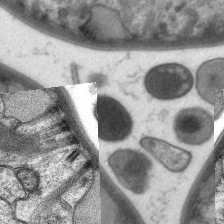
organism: C. elegans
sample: Pharynx